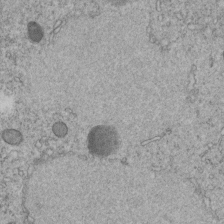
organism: C. elegans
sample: C. elegans embryo early stage